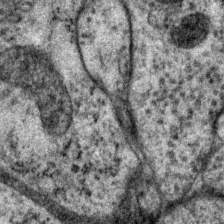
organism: P. pacificus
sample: Pharynx